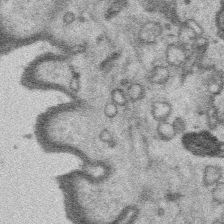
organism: Platynereis dumerilii